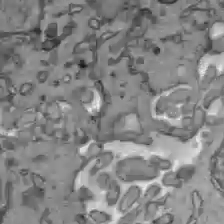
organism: C57BL Mouse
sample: Liver